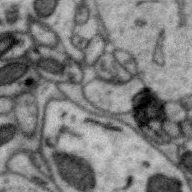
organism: Zebra finch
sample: Brain